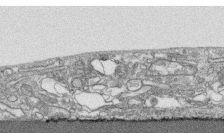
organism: Human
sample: CRL-1474